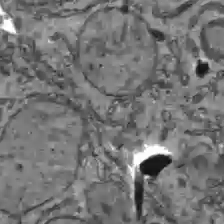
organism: C57BL Mouse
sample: Liver